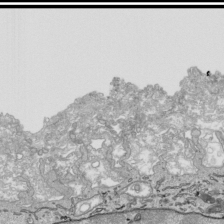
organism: Human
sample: Mitochondria in HCT116 cells